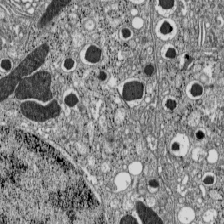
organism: C57BL Mouse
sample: Pancreatic islet